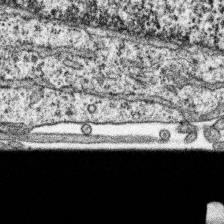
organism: Human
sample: HeLa cells